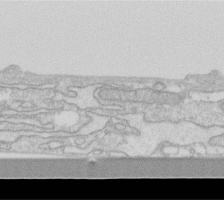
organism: Human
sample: Fibroblast cells